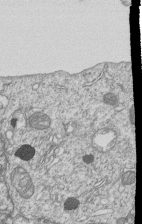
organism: Human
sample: MDA-MB-231 cells